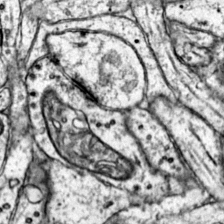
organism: Mouse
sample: Primary visual cortex